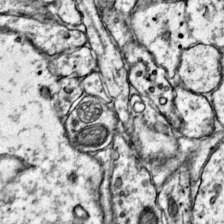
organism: Mouse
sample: Primary visual cortex